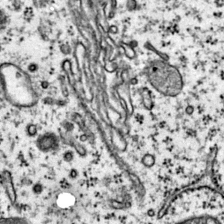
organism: Mouse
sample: Primary visual cortex